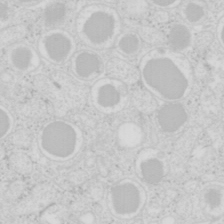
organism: Mouse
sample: Pancreas